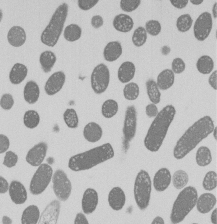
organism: E. coli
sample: Bacterial nucleoid